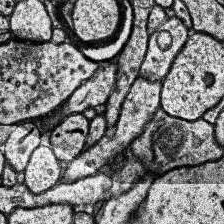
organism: Human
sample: Temporal Lobe